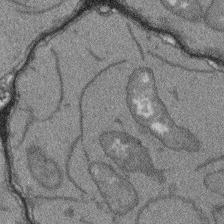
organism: Arabidopsis thaliana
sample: Root tip